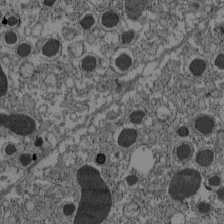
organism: C57BL Mouse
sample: Pancreatic islet